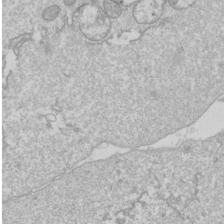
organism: Drosophila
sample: Cell division; meiosis; drosophila spermatocytes